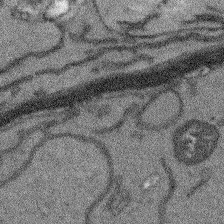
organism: Arabidopsis thaliana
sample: Root tip